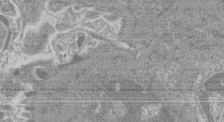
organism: Mouse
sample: Glomerulus